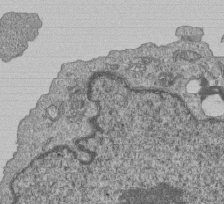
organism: Human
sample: MDA-MB-231 cells